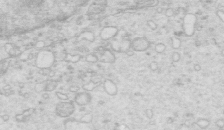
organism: Mouse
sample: Multiciliated cells